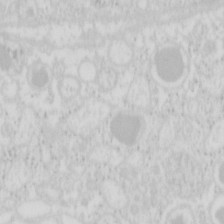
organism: Mouse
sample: Pancreas